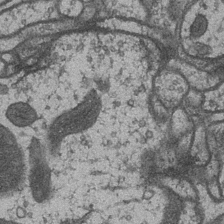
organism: Drosophila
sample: Optic medulla